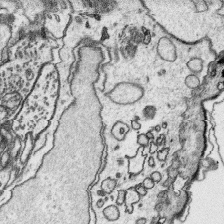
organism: Platynereis dumerilii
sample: Parapodia